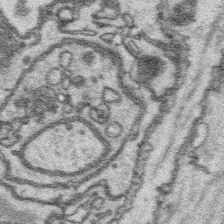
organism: Platynereis dumerilii